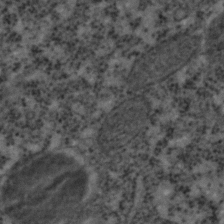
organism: C. elegans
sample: C. elegans embryo